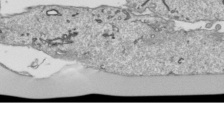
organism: Human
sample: Mitochondria in HCT116 cells